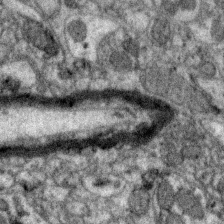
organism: Zebra finch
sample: Brain